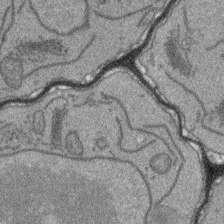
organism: Arabidopsis thaliana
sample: Root tip